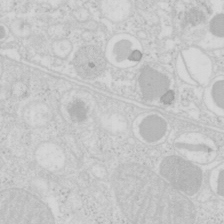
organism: Mouse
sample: Pancreas